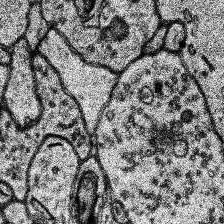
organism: Human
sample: Temporal Lobe